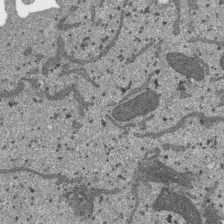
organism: Human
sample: Lung epithelial cells infected with SARS-CoV-2